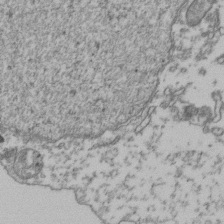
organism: Human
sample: Activated Jurkat CD4+ T cells